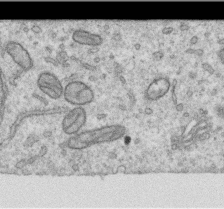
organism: Human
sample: Centriole in RPE cells